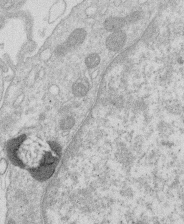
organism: Human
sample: Macrophage cells